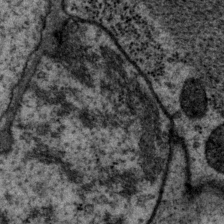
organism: P. pacificus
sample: Pharynx